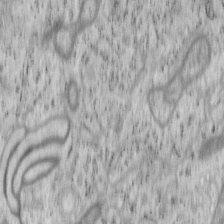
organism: Human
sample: HeLa cells